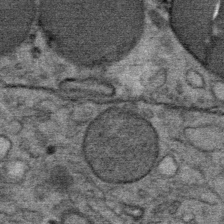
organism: Mouse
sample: Mouse Salivary gland